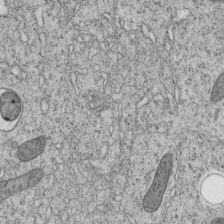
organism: C. elegans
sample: C. elegans embryo early stage